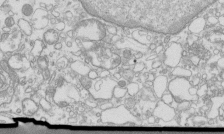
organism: Mouse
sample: Macrophages